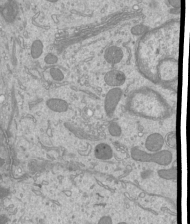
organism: Mouse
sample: Cilia; mouse epididymis